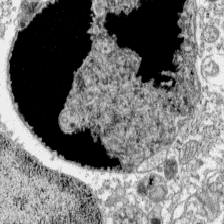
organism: C57BL Mouse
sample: Pancreatic islet